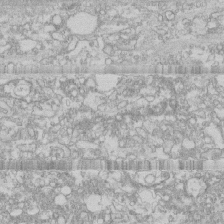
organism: Human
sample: CRL-1474